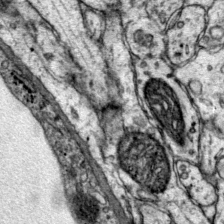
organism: Mouse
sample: Primary visual cortex